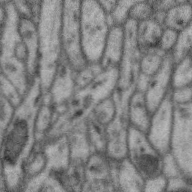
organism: Zebra finch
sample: Brain